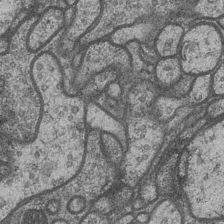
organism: Drosophila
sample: Optic medulla